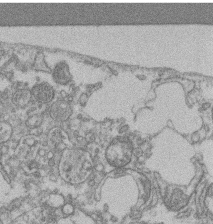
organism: Mouse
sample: T cell stromal cell synapse